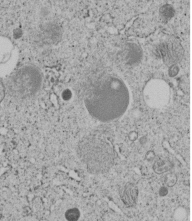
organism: C. elegans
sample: C. elegans embryo early stage